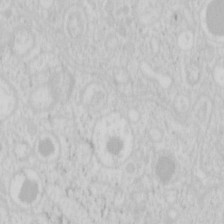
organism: Mouse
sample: Pancreas